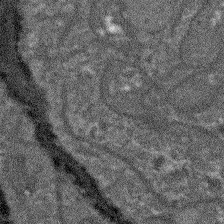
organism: Arabidopsis thaliana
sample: Root tip